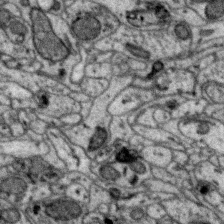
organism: Zebra finch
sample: Brain